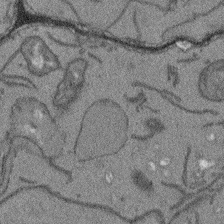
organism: Arabidopsis thaliana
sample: Root tip